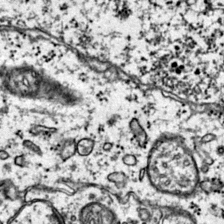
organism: Mouse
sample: Primary visual cortex